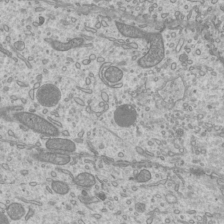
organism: Mouse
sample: Cilia; mouse epididymis